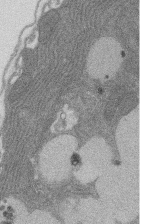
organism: Rat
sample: Salivary granule